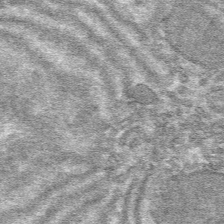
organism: Mouse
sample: Mouse hepatocytes